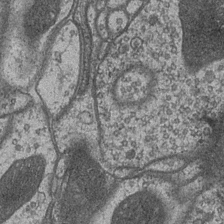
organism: Drosophila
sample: Optic medulla